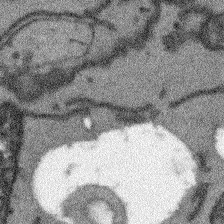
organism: Arabidopsis thaliana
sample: Root tip